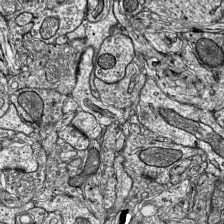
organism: Mouse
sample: Visual Cortex